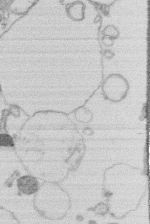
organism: Human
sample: Macrophage cells